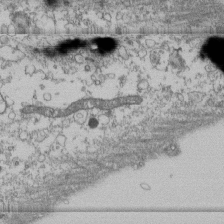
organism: Human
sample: Fibroblast cells